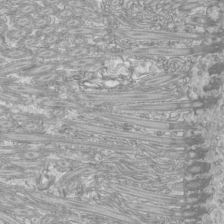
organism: Mouse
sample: Cilia; mouse epididymis